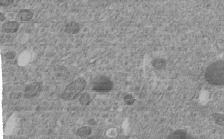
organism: C. elegans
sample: C. elegans embryo early stage